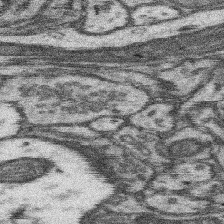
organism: Mouse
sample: Somatosensory cortex neuropil